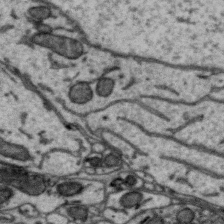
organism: Zebra finch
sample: Brain